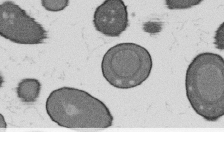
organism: B. subtilis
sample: Bacterial spore